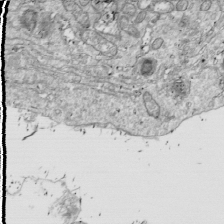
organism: Drosophila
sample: Cell division; meiosis; drosophila spermatocytes